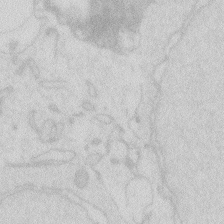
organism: Zebrafish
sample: Macrophage